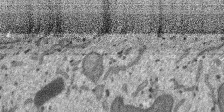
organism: Human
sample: Lung epithelial cells infected with SARS-CoV-2